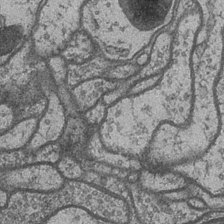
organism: Drosophila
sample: Optic medulla